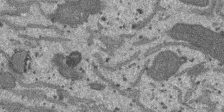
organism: Human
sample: Lung epithelial cells infected with SARS-CoV-2